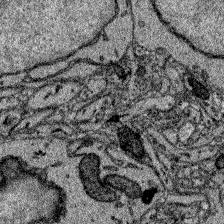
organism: Zebrafish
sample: Larval olfactory bulb